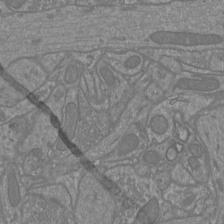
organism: Mouse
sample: Cortical neurons